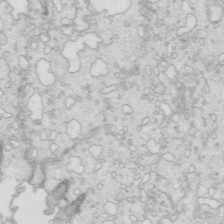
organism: Mouse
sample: Multiciliated cells